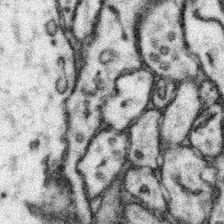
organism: Mouse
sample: Somatosensory cortex neuropil